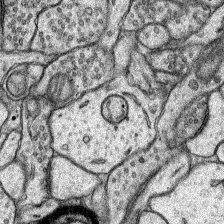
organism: Rat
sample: Hippocampus